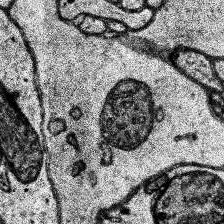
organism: Human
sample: Temporal Lobe